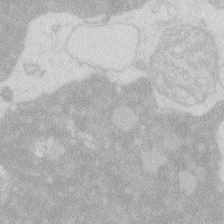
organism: Zebrafish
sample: Macrophage